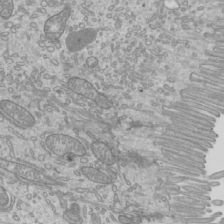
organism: Mouse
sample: Cilia; mouse epididymis